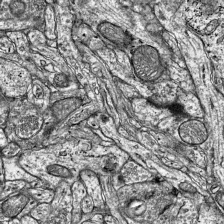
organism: Mouse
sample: Visual Cortex